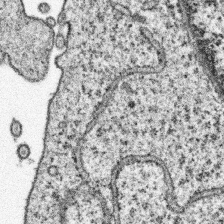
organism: Human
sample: HeLa cells